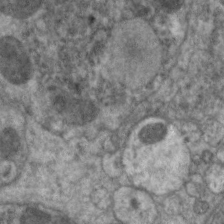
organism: C. elegans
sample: Pharynx